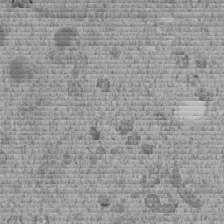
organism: C. elegans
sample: C. elegans embryo early stage